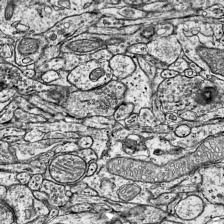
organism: Mouse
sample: Visual Cortex